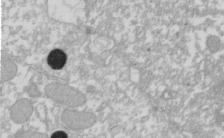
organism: Xenopus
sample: Cilia; centrioles in frog embryo cells